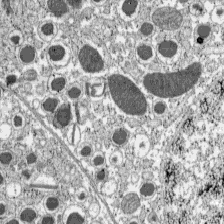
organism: C57BL Mouse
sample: Pancreatic islet